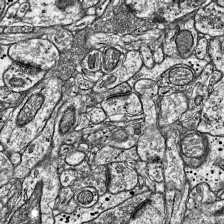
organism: Mouse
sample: Visual Cortex